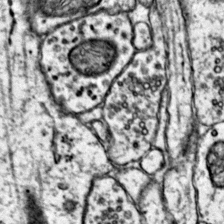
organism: Mouse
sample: Primary visual cortex